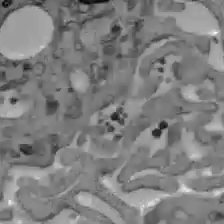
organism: C57BL Mouse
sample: Liver